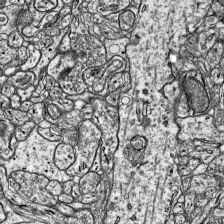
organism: Mouse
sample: Visual Cortex